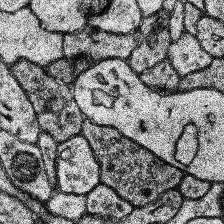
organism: Human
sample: Temporal Lobe